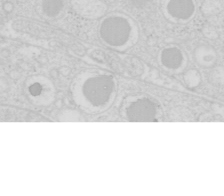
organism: Mouse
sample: Pancreas